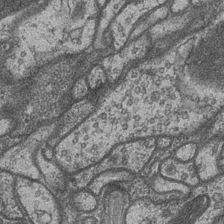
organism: Drosophila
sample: Optic medulla